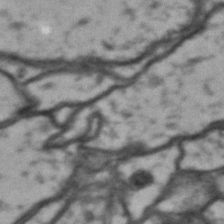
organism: Drosophila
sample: Brain